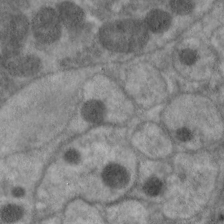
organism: C. elegans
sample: Pharynx